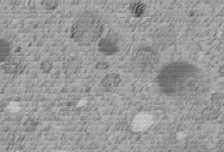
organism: C. elegans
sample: C. elegans embryo early stage